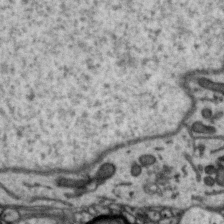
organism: Zebra finch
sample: Brain